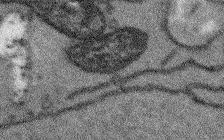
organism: Arabidopsis thaliana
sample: Root tip